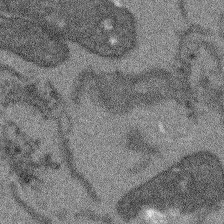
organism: Arabidopsis thaliana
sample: Root tip